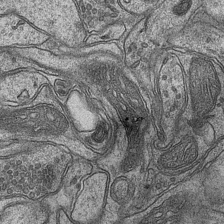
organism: Mouse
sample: CA1 Hippocampus